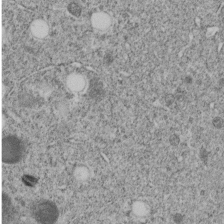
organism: C. elegans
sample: C. elegans embryo early stage